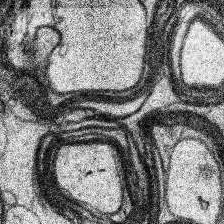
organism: Human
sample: Temporal Lobe